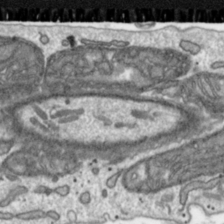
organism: Toxoplasma gondii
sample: Parasites in a vacuole inside a host cell